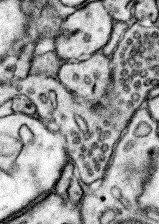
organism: Mouse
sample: Somatosensory cortex neuropil